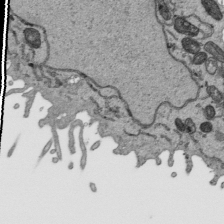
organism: Human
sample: Mitochondria in HCT116 cells